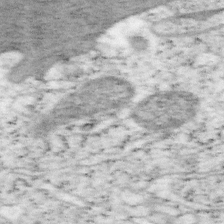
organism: Mouse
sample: OT-I killer T cells with ID8 ovarian cancer cells